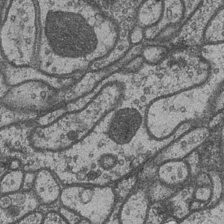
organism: Drosophila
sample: Optic medulla